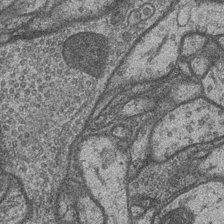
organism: Drosophila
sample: Optic medulla